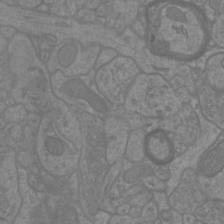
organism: Mouse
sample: Cortical neurons